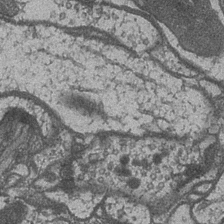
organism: Drosophila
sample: Optic medulla